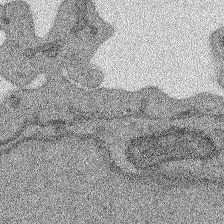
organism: Human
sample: HeLa cells